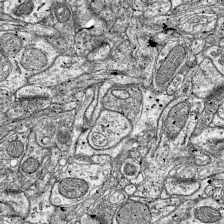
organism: Mouse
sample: Visual Cortex